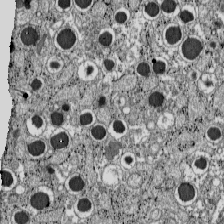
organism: C57BL Mouse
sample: Pancreatic islet